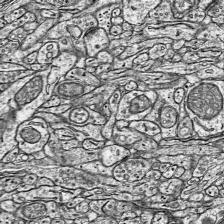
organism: Mouse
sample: Visual Cortex